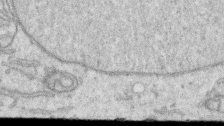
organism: Human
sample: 1205lu cells